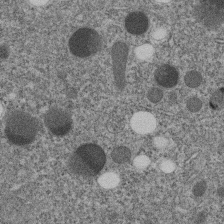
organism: C. elegans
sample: C. elegans embryo early stage